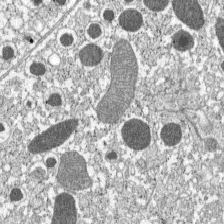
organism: C57BL Mouse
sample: Pancreatic islet